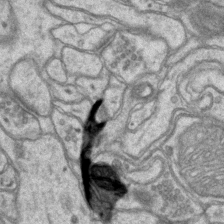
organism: Mouse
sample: CA1 Hippocampus